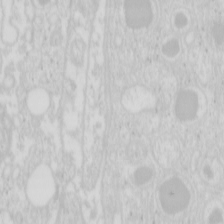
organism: Mouse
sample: Pancreas